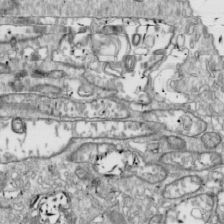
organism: Drosophila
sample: Cell division; meiosis; drosophila spermatocytes